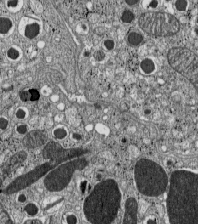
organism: C57BL Mouse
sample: Pancreatic islet